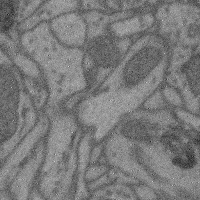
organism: Mouse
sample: Cerebral cortex